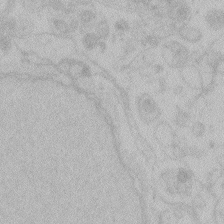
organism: Zebrafish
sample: Macrophage infected with Toxoplasma gondii